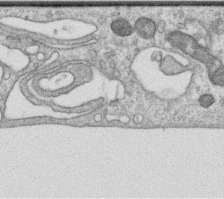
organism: Human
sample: Centriole in RPE cells